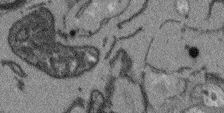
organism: Arabidopsis thaliana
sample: Root tip